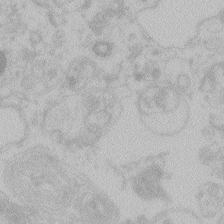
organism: Zebrafish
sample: Macrophage infected with Toxoplasma gondii